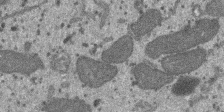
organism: Human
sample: Lung epithelial cells infected with SARS-CoV-2